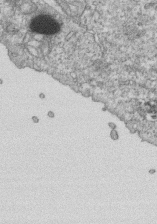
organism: Human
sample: HeLa cell HIV synapse